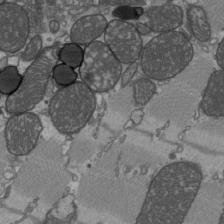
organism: C57BL Mouse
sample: Heart